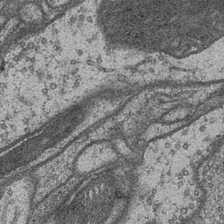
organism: Drosophila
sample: Optic medulla